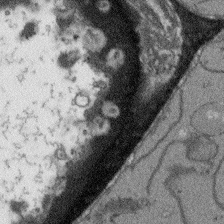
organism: Arabidopsis thaliana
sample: Root tip